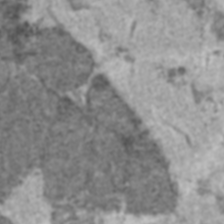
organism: C57BL Mouse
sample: Heart